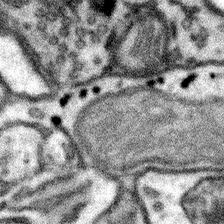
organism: Mouse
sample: Somatosensory cortex neuropil